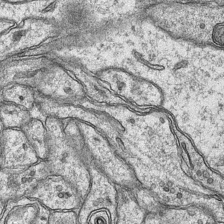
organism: Mouse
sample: CA1 Hippocampus